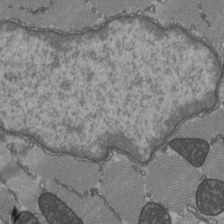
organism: C57BL Mouse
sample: Heart